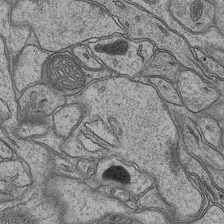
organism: Mouse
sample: CA1 Hippocampus